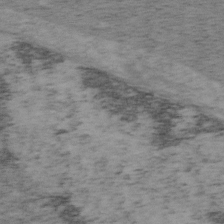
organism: Mouse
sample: OT-I killer T cells with ID8 ovarian cancer cells